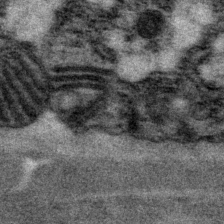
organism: P. pacificus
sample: Pharynx